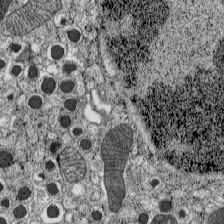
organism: C57BL Mouse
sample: Pancreatic islet